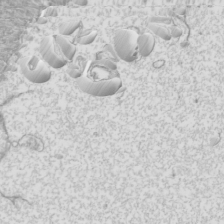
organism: Mouse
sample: Cilia; mouse epididymis